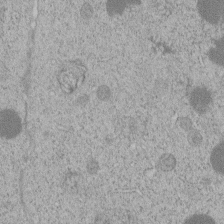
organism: C. elegans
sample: C. elegans embryo early stage